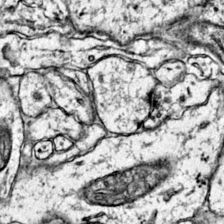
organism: Mouse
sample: Primary visual cortex